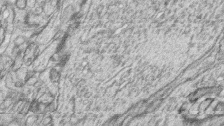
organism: Zebrafish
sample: synaptic ribbons in rod cells and cone cells